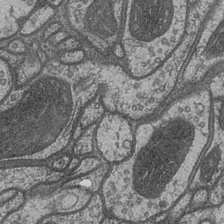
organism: Drosophila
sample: Optic medulla